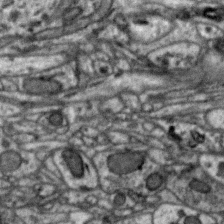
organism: Zebra finch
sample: Brain